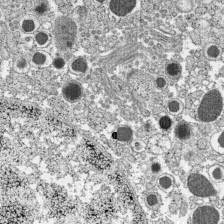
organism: C57BL Mouse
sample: Pancreatic islet